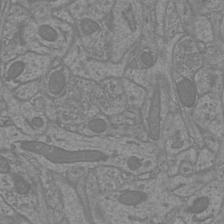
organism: Mouse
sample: Cortical neurons